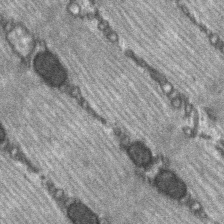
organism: C57BL Mouse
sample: Soleus